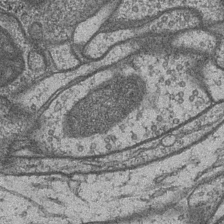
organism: Drosophila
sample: Optic medulla